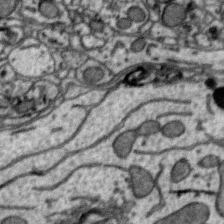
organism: Zebra finch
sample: Brain